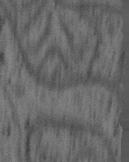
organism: Human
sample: HeLa cells